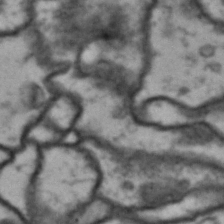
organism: Drosophila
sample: Brain